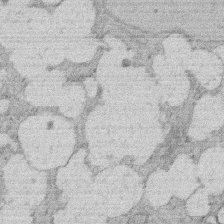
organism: Rat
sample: Salivary granule